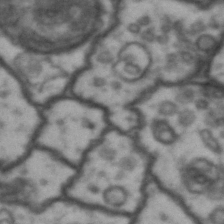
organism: Drosophila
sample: Brain